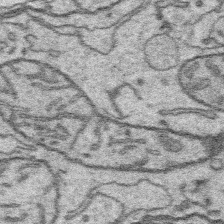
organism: Platynereis dumerilii